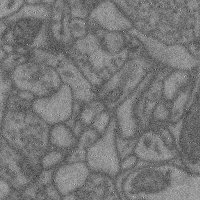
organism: Mouse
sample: Cerebral cortex